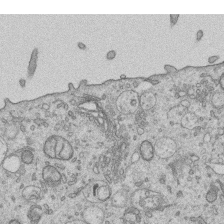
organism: Human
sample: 1205lu cells